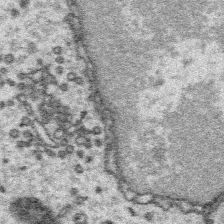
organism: Platynereis dumerilii